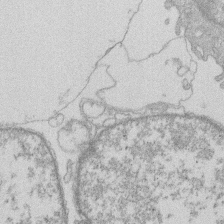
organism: Human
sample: Macrophage cells